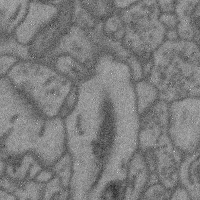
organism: Mouse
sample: Cerebral cortex